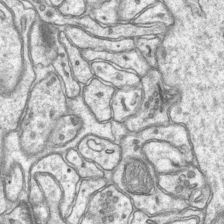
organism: Mouse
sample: CA1 Hippocampus